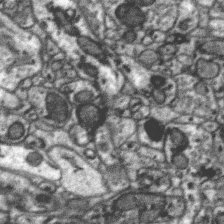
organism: Zebra finch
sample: Brain